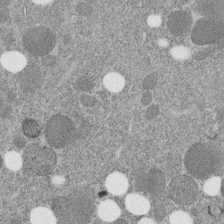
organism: C. elegans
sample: C. elegans embryo early stage